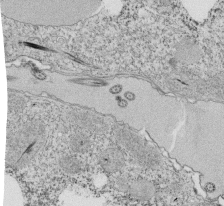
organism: Tetrahymena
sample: Cilia in tetrahymena